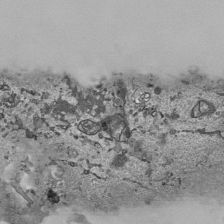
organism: Human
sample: Mitochondria in HCT116 cells